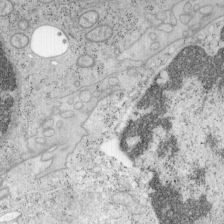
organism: Mouse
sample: OT-I killer T cells with ID8 ovarian cancer cells